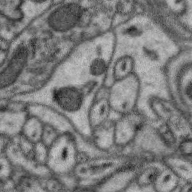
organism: Zebra finch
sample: Brain